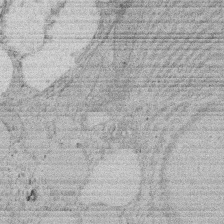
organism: Rat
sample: Salivary granule